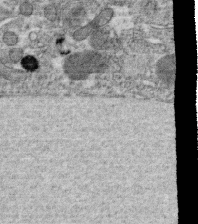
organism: C. elegans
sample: C. elegans oocyte; sperm cells